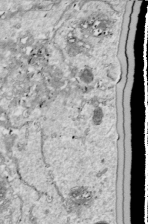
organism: Drosophila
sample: Cell division; meiosis; drosophila spermatocytes